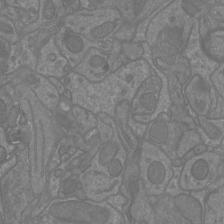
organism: Mouse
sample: Cortical neurons